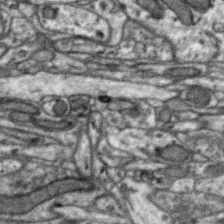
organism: Zebra finch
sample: Brain